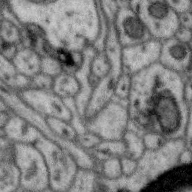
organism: Zebra finch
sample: Brain